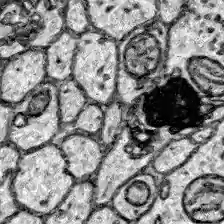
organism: Zebrafish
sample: Brain